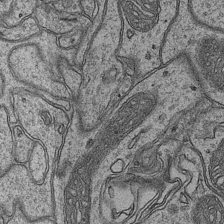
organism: Mouse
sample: CA1 Hippocampus